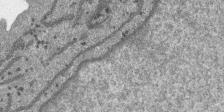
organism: Human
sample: Lung epithelial cells infected with SARS-CoV-2